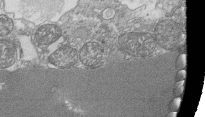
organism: Tetrahymena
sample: Cilia in tetrahymena